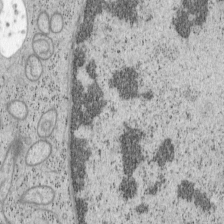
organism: Mouse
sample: OT-I killer T cells with ID8 ovarian cancer cells